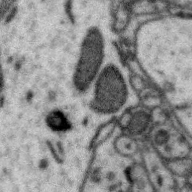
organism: Zebra finch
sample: Brain